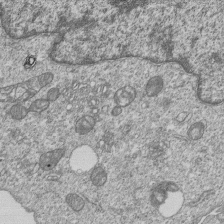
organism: Human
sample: MDA-MB-231 cells